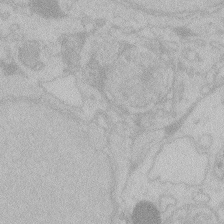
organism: Zebrafish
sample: Macrophage infected with Toxoplasma gondii